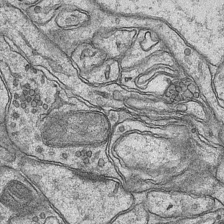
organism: Mouse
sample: CA1 Hippocampus